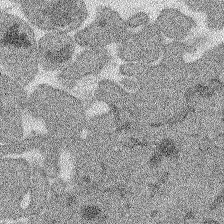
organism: Human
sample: HeLa cells